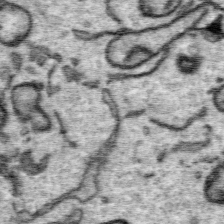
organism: Human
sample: HeLa cells